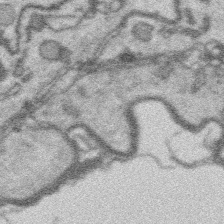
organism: Platynereis dumerilii